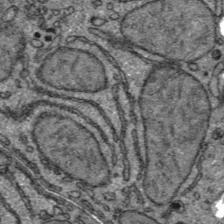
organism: C57BL Mouse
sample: Liver